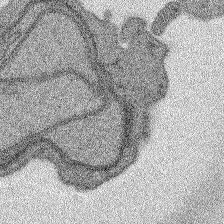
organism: Human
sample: HeLa cells